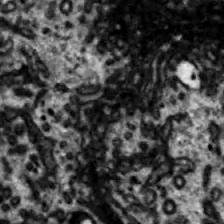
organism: Human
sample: HeLa cells